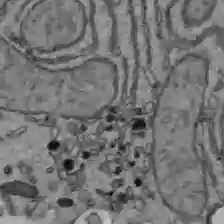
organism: C57BL Mouse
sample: Liver